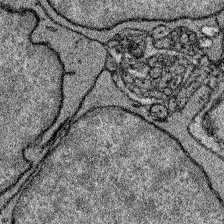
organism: Zebrafish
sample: Larval olfactory bulb